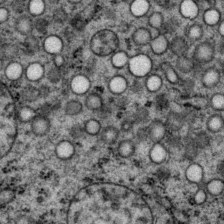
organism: P. pacificus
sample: Pharynx